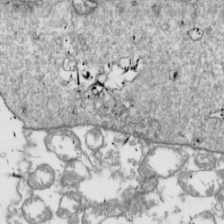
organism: Drosophila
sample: Cell division; meiosis; drosophila spermatocytes